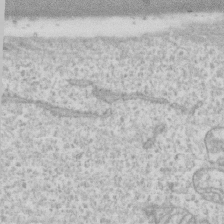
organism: Human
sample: CRL-1474